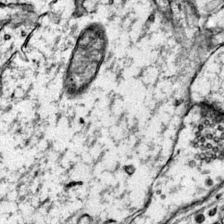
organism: Mouse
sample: Primary visual cortex